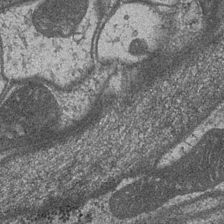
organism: Drosophila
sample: Optic medulla